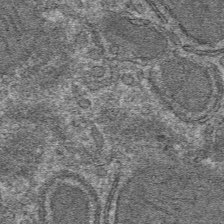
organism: Mouse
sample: Mouse hepatocytes